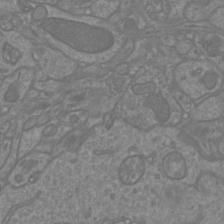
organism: Mouse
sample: Cortical neurons